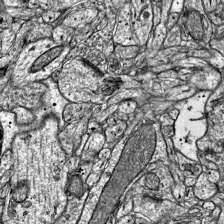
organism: Mouse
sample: Visual Cortex